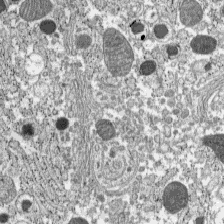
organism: C57BL Mouse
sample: Pancreatic islet